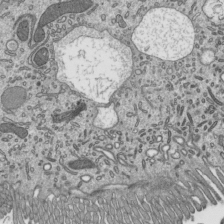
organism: Mouse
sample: Mouse epididymis efferent ductule cilia